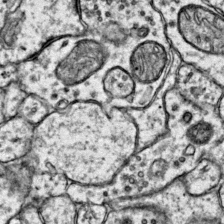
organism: Mouse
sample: Primary visual cortex